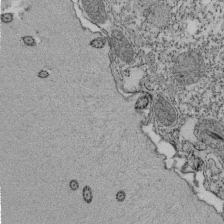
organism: Tetrahymena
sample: Cilia in tetrahymena